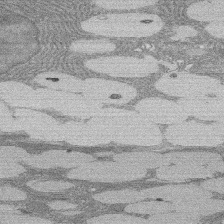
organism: Rat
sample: Salivary granule